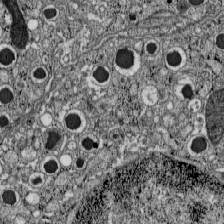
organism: C57BL Mouse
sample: Pancreatic islet